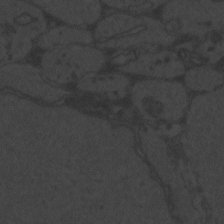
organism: Zebrafish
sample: Macrophage infected with Toxoplasma gondii